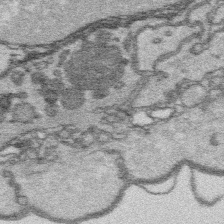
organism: Platynereis dumerilii